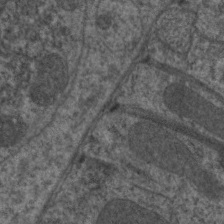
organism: C. elegans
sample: Pharynx